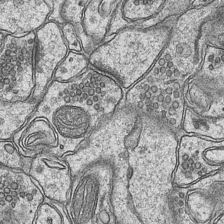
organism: Mouse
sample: CA1 Hippocampus